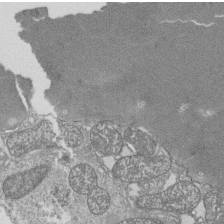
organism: Tetrahymena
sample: Cilia in tetrahymena